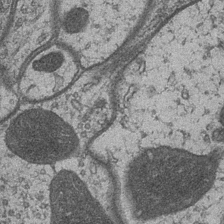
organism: Drosophila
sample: Optic medulla